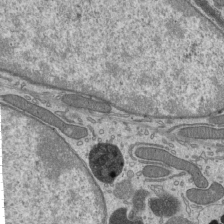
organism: Mouse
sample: Mouse epididymis efferent ductule cilia